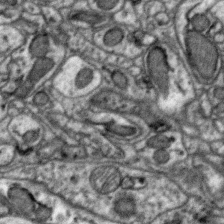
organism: Zebra finch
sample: Brain